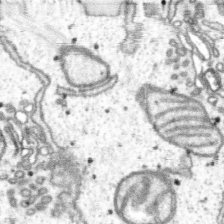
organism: Human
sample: HeLa cells